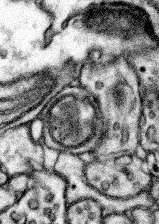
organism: Mouse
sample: Somatosensory cortex neuropil